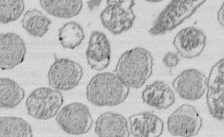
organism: E. coli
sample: Bacterial nucleoid